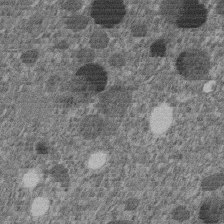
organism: C. elegans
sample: C. elegans embryo early stage